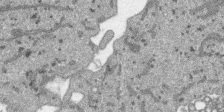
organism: Human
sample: Lung epithelial cells infected with SARS-CoV-2